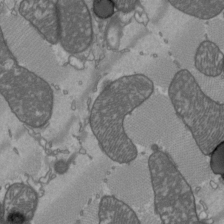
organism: C57BL Mouse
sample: Heart